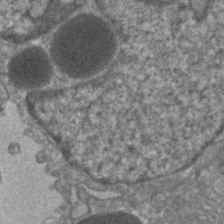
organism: Human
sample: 1205lu cells